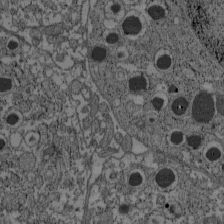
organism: C57BL Mouse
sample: Pancreatic islet